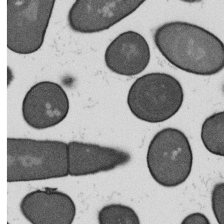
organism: B. subtilis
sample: Bacterial spore